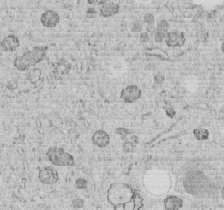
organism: C. elegans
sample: C. elegans embryo early stage